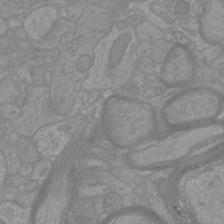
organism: Mouse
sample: Cortical neurons